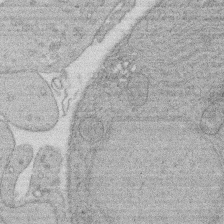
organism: Rat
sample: Salivary granule